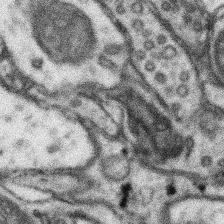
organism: Mouse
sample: Somatosensory cortex neuropil